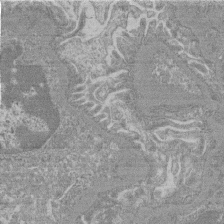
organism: Mouse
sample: Glomerulus